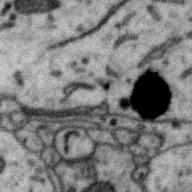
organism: Zebra finch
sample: Brain